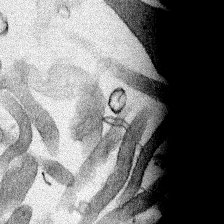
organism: Human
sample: Mitochondria in HCT116 cells